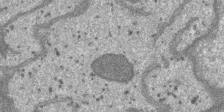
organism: Human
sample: Lung epithelial cells infected with SARS-CoV-2